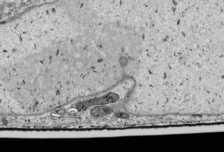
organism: Human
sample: Mitochondria in HCT116 cells